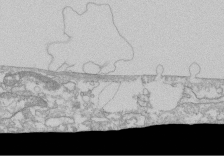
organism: Human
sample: CRL-1474